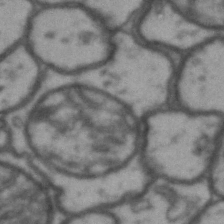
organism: Drosophila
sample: Brain